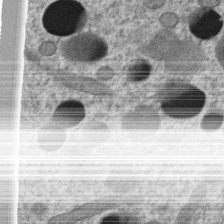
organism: C. elegans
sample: C. elegans embryo early stage